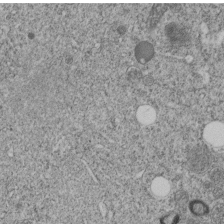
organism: C. elegans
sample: C. elegans embryo early stage